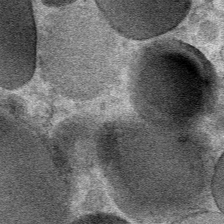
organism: Mouse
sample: Mouse Salivary gland